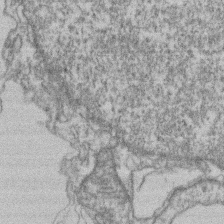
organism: Mouse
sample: T cell stromal cell synapse